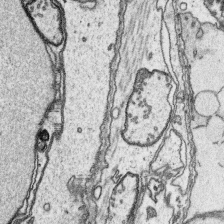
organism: Platynereis dumerilii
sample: Parapodia